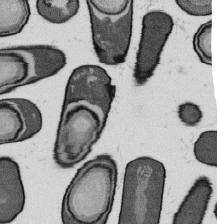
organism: B. subtilis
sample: Bacterial spore